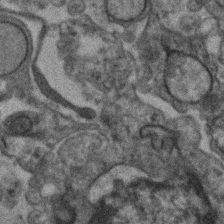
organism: Human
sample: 1205lu cells